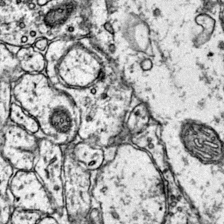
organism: Mouse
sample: Primary visual cortex